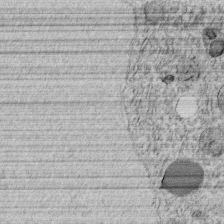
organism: C. elegans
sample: C. elegans embryo early stage